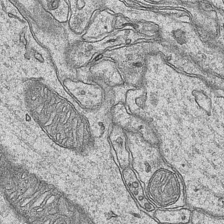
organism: Mouse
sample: CA1 Hippocampus